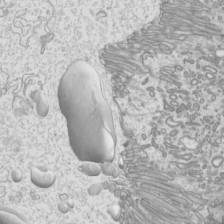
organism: Mouse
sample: Cilia; mouse epididymis